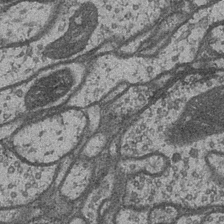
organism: Drosophila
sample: Optic medulla